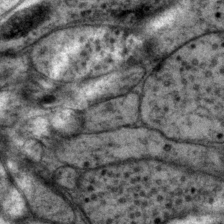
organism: P. pacificus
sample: Pharynx